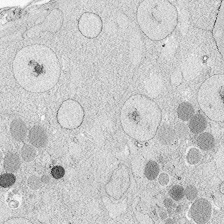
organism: Zebrafish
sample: Whole-Brain